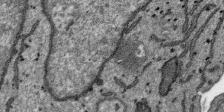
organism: Human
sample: Lung epithelial cells, uninfected (mock) control